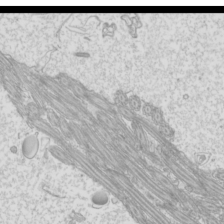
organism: Mouse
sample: Cilia; mouse epididymis